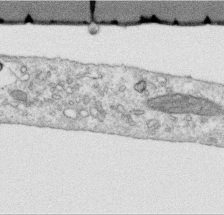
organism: Human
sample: Centriole in RPE cells